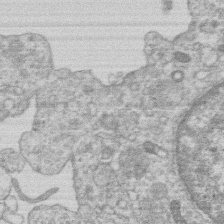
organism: Human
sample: Macrophage cells